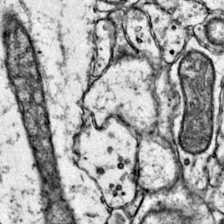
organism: Mouse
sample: Primary visual cortex